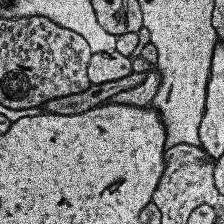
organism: Human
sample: Temporal Lobe